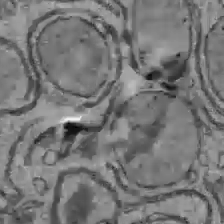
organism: C57BL Mouse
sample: Liver